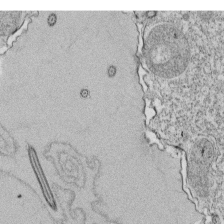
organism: Tetrahymena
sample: Cilia in tetrahymena